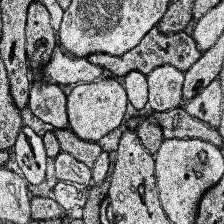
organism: Human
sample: Temporal Lobe